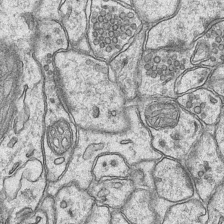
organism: Mouse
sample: CA1 Hippocampus